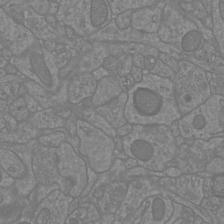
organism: Mouse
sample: Cortical neurons